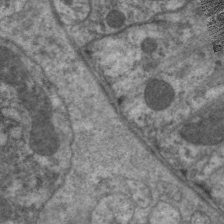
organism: C. elegans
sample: Pharynx